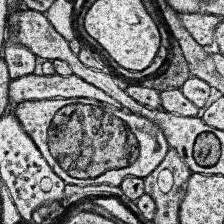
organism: Human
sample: Temporal Lobe